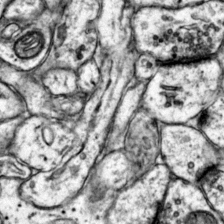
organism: Mouse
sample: Primary visual cortex